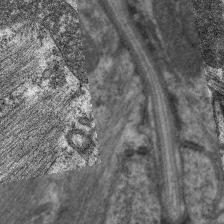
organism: C. elegans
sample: Pharynx